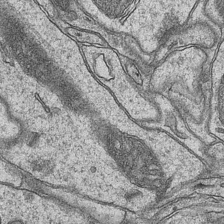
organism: Mouse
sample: CA1 Hippocampus